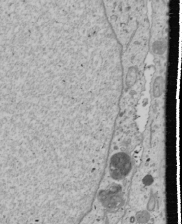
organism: Human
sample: Mitochondria in U2OS cells